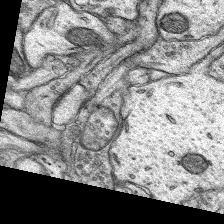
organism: Rat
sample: Hippocampus